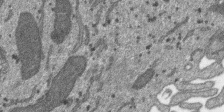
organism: Human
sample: Lung epithelial cells infected with SARS-CoV-2